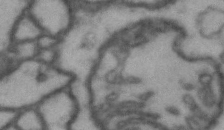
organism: Drosophila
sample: Brain